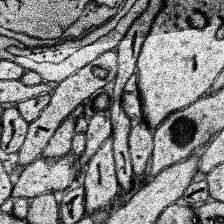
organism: Human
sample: Temporal Lobe